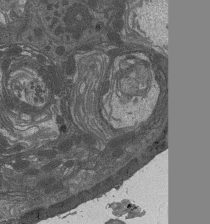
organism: Drosophila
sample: Antenna